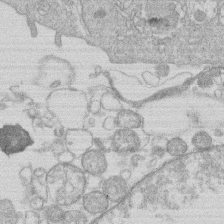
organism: Human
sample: Macrophage cells